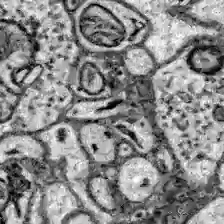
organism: Zebrafish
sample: Brain